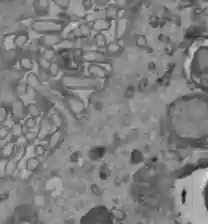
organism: C57BL Mouse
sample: Liver